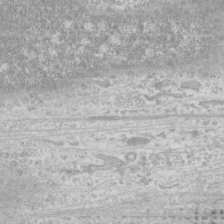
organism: Human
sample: Fibroblast cells